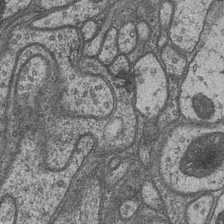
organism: Drosophila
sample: Optic medulla